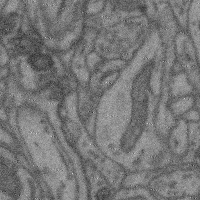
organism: Mouse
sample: Cerebral cortex